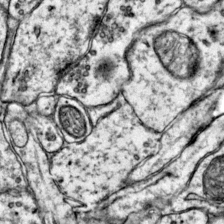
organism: Mouse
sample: Primary visual cortex